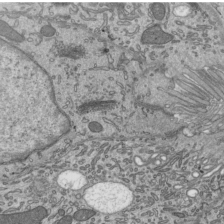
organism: Mouse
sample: Mouse epididymis efferent ductule cilia